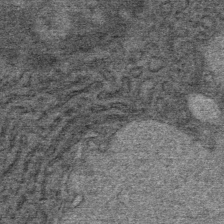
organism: Mouse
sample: Mouse Salivary gland